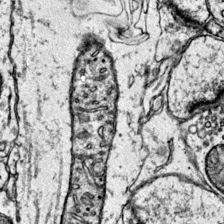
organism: Mouse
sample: Primary visual cortex